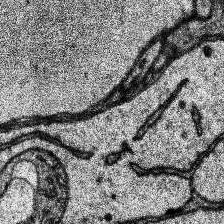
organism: Human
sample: Temporal Lobe